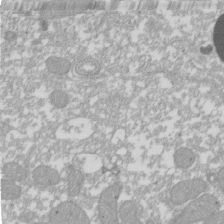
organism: Xenopus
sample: Cilia; centrioles in frog embryo cells